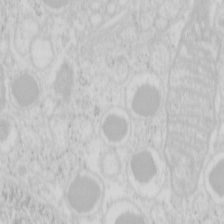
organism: Mouse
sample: Pancreas